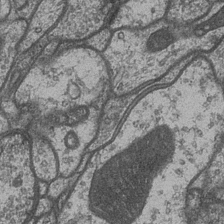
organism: Drosophila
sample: Optic medulla